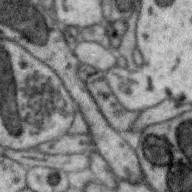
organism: Zebra finch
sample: Brain